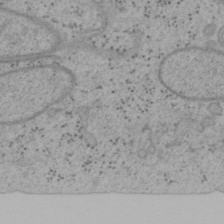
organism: Human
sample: HeLa cells